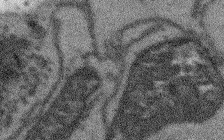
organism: Arabidopsis thaliana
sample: Root tip